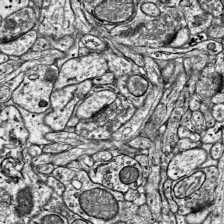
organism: Mouse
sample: Visual Cortex